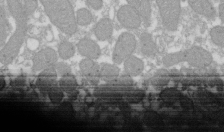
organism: Xenopus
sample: Cilia; centrioles in frog embryo cells